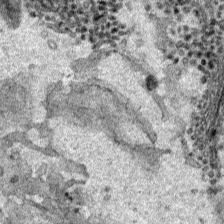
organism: Human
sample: Mitochondria in HCT116 cells